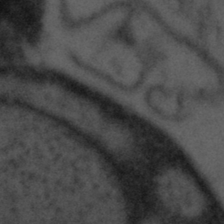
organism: Tuwongella immobilis